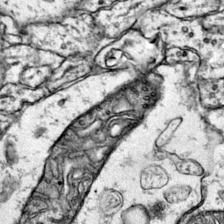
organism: Mouse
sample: Primary visual cortex